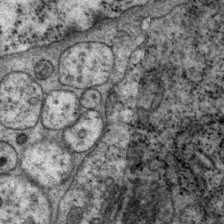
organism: P. pacificus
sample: Pharynx